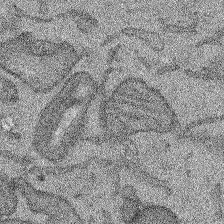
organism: Human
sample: HeLa cells